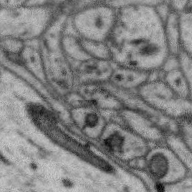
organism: Zebra finch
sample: Brain